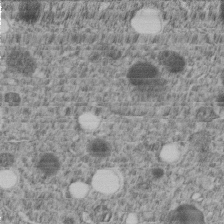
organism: C. elegans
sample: C. elegans embryo early stage